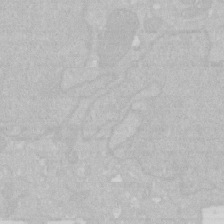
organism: Human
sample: HIV infected U937 cells